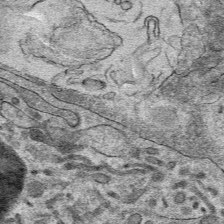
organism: Mouse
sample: Mouse hepatocytes